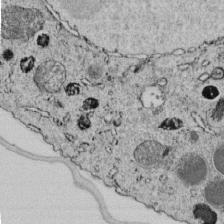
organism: C. elegans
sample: C. elegans embryo early stage